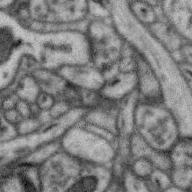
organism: Zebra finch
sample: Brain